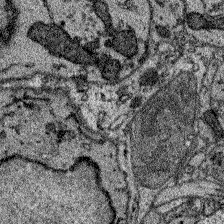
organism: Zebrafish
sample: Larval olfactory bulb